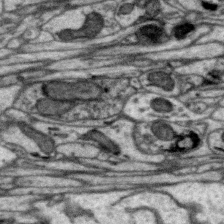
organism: Zebra finch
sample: Brain